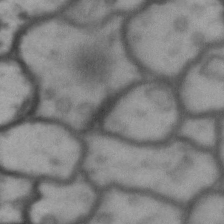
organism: Drosophila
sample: Brain